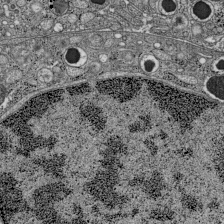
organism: C57BL Mouse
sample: Pancreatic islet